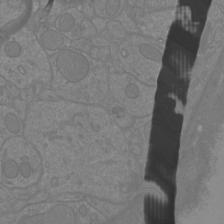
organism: Mouse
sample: Cortical neurons